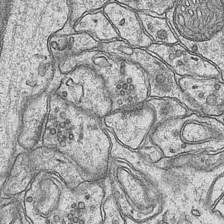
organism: Mouse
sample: CA1 Hippocampus